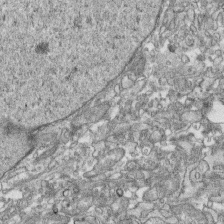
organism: Human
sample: CRL-1474